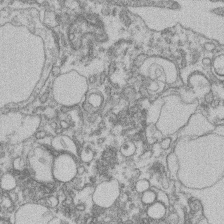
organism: Mouse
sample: T cell stromal cell synapse